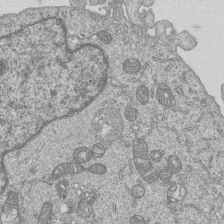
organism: Human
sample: MDA-MB-231 cells